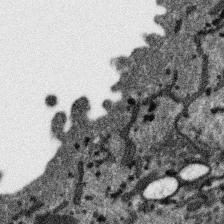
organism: Human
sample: Lung epithelial cells infected with SARS-CoV-2